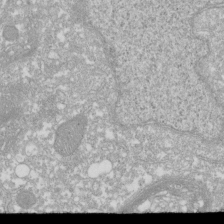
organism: Xenopus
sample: Cilia; centrioles in frog embryo cells